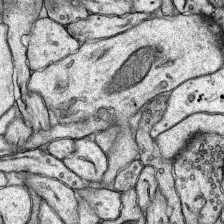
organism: Rat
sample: Hippocampus